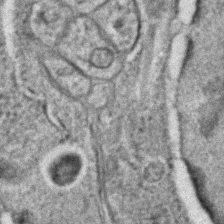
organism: C. elegans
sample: C. elegans embryo